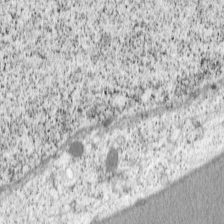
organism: African green monkey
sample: COS-7 cells